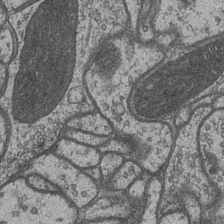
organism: Drosophila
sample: Optic medulla